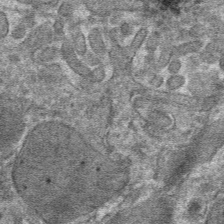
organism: Mouse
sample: Mouse hepatocytes